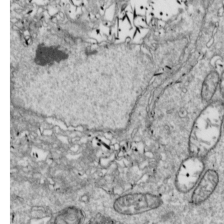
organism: Drosophila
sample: Cell division; meiosis; drosophila spermatocytes